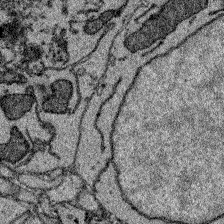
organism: Zebrafish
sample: Larval olfactory bulb